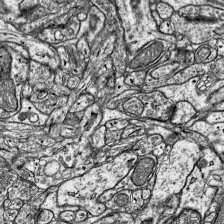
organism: Mouse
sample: Visual Cortex